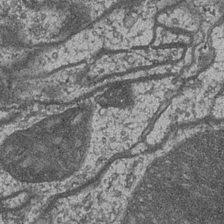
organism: Drosophila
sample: Optic medulla